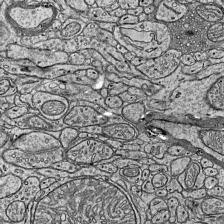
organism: Mouse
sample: Visual Cortex